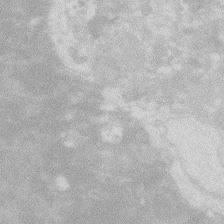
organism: Zebrafish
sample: Macrophage